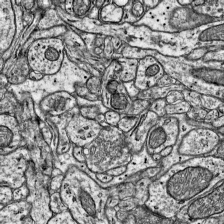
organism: Mouse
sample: Visual Cortex